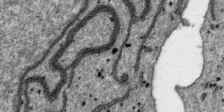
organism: Human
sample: Lung epithelial cells, uninfected (mock) control